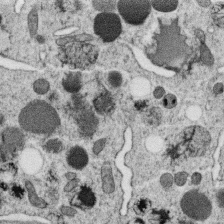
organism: C. elegans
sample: C. elegans oocyte; sperm cells